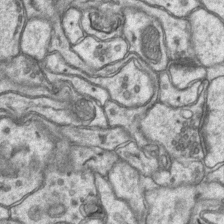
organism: Mouse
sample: CA1 Hippocampus